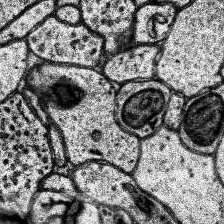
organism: Human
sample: Temporal Lobe